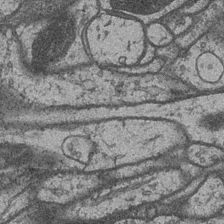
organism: Drosophila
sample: Optic medulla